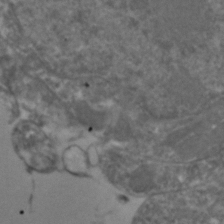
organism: Zebrafish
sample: Zebrafish embryo